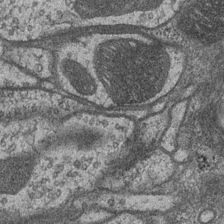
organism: Drosophila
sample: Optic medulla